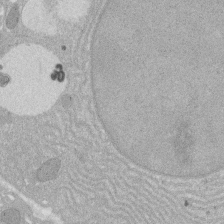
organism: Rat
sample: Salivary granule